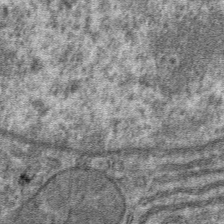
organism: Mouse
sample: Mouse hepatocytes